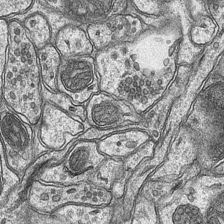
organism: Mouse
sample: CA1 Hippocampus